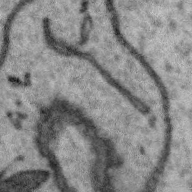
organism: Zebra finch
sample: Brain